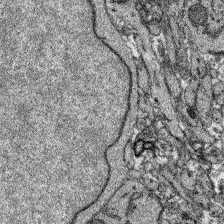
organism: Zebrafish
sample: Larval olfactory bulb